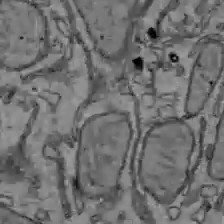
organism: C57BL Mouse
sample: Liver